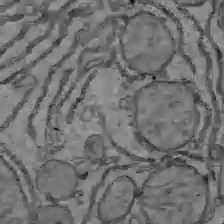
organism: C57BL Mouse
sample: Liver